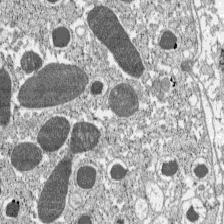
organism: C57BL Mouse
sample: Pancreatic islet